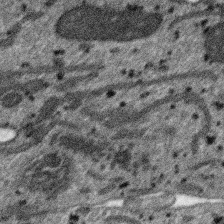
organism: Human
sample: Lung epithelial cells infected with SARS-CoV-2